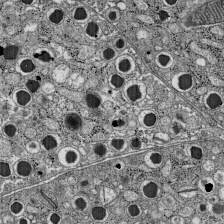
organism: C57BL Mouse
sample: Pancreatic islet